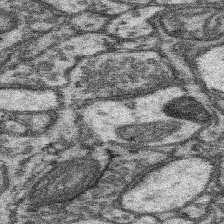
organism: Mouse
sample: Somatosensory cortex neuropil